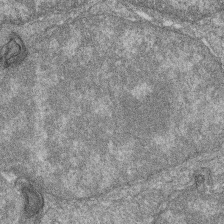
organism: Zebrafish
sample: Cilia; retinal pigment epithelium